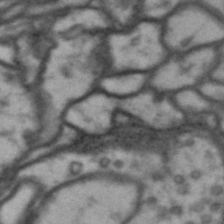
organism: Drosophila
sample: Brain